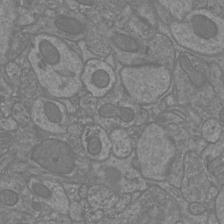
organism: Mouse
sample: Cortical neurons